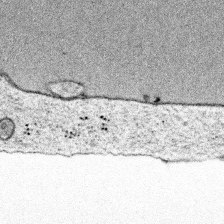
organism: Human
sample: HeLa cells